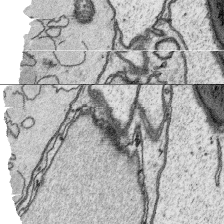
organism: Platynereis dumerilii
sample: Parapodia